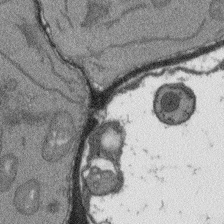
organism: Arabidopsis thaliana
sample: Root tip